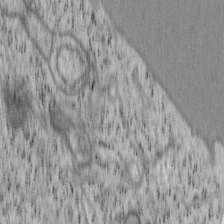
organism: Human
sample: HeLa cells